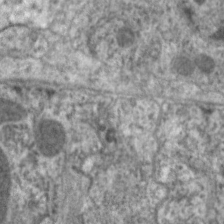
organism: C. elegans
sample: Pharynx